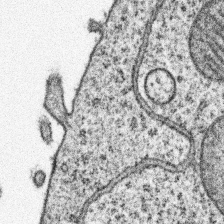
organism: Human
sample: HeLa cells